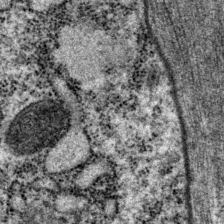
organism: P. pacificus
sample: Pharynx